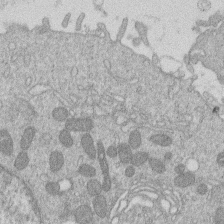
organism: Human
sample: Macrophage cells